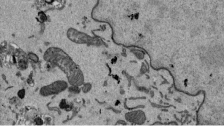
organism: Mouse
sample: ED-1 cell nuclei; centrioles